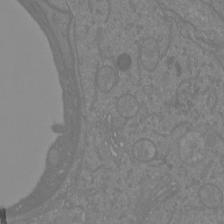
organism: Mouse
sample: Cortical neurons